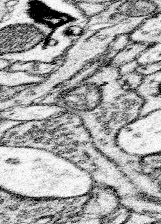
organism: Mouse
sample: Somatosensory cortex neuropil